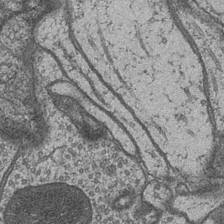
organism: Drosophila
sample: Optic medulla